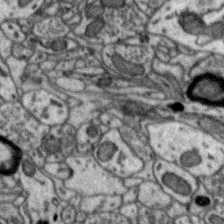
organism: Zebra finch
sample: Brain